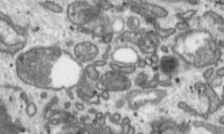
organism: Toxoplasma gondii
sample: Parasites in a vacuole inside a host cell